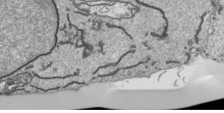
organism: Human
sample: Mitochondria in HCT116 cells